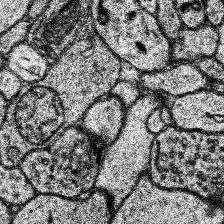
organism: Human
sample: Temporal Lobe